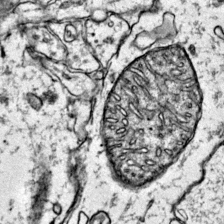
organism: Mouse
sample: Primary visual cortex